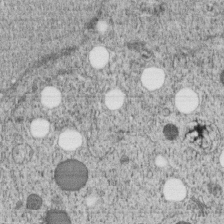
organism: C. elegans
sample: C. elegans embryo early stage